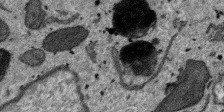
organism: Human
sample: Lung epithelial cells, uninfected (mock) control